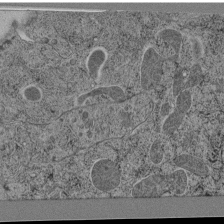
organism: C. elegans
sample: C. elegans pharynx